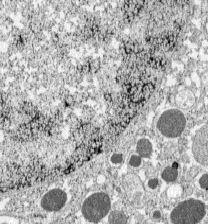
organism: C57BL Mouse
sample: Pancreatic islet